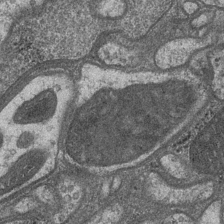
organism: Drosophila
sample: Optic medulla